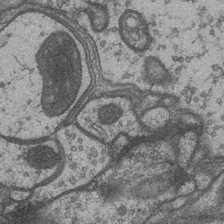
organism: Drosophila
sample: Optic medulla